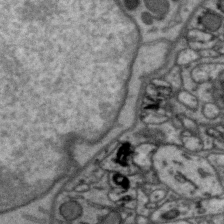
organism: Zebra finch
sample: Brain